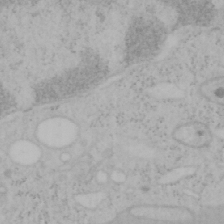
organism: Mouse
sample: OT-I killer T cells with ID8 ovarian cancer cells